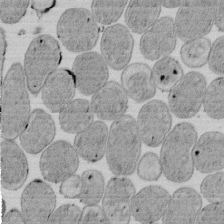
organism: E. coli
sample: Bacterial nucleoid